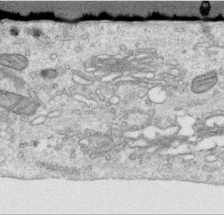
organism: Human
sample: Centriole in RPE cells